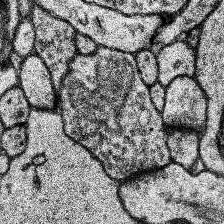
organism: Human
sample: Temporal Lobe